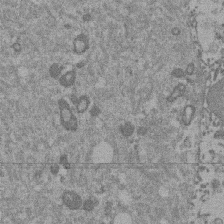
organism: Mouse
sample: Dividing mouse embryo 1 cell stage